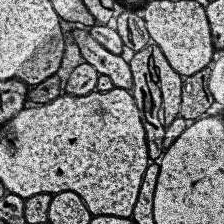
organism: Human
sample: Temporal Lobe